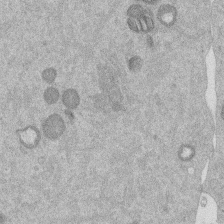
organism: Mouse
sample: Dividing mouse embryo 1 cell stage